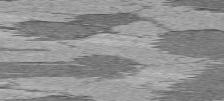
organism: C57BL Mouse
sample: Heart